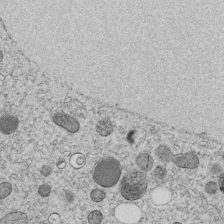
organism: C. elegans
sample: C. elegans embryo early stage